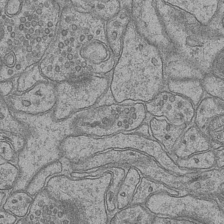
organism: Mouse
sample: CA1 Hippocampus